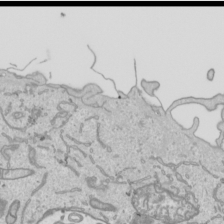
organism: Human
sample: Mitochondria in HCT116 cells